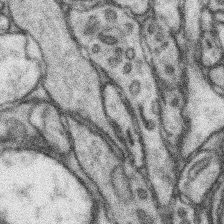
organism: Mouse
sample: Somatosensory cortex neuropil